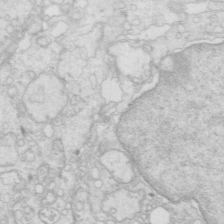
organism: Mouse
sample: Multiciliated cells